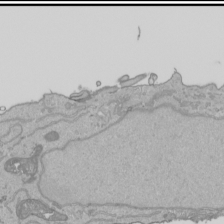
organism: Human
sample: Mitochondria in HCT116 cells